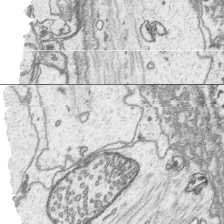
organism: Platynereis dumerilii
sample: Parapodia